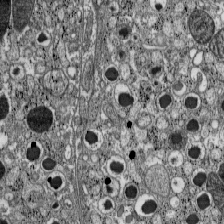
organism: C57BL Mouse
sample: Pancreatic islet